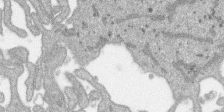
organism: Human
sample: Lung epithelial cells infected with SARS-CoV-2